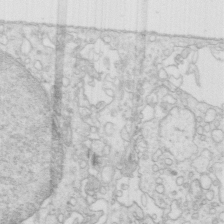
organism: Mouse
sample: Multiciliated cells